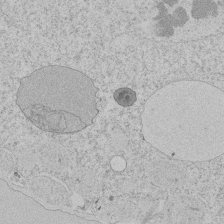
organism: Tetrahymena